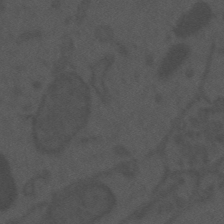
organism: Mouse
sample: Suprachiasmatic nucleus